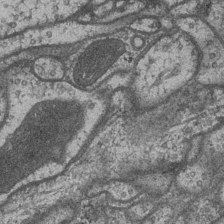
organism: Drosophila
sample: Optic medulla